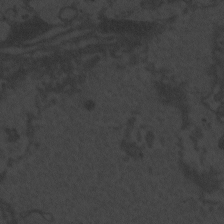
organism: Zebrafish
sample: Macrophage infected with Toxoplasma gondii